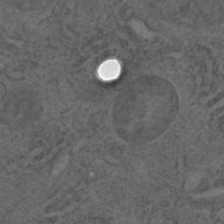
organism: C. elegans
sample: C. elegans embryo